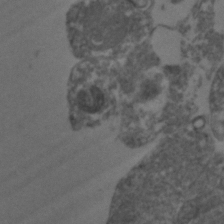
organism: Zebrafish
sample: Zebrafish embryo